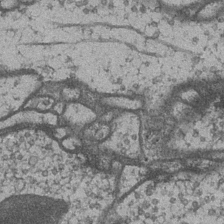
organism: Drosophila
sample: Optic medulla